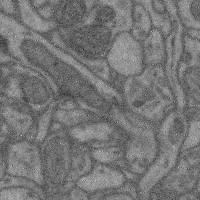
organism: Mouse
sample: Cerebral cortex